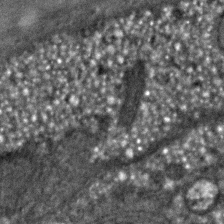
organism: C. elegans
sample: C. elegans embryo